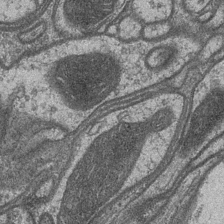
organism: Drosophila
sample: Optic medulla